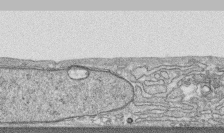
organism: Human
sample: CRL-1474